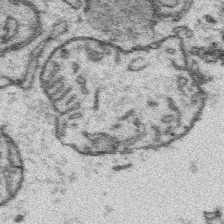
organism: Platynereis dumerilii